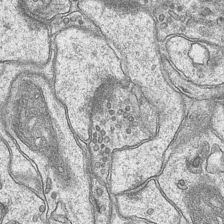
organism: Mouse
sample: CA1 Hippocampus